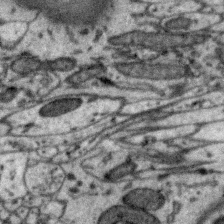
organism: Zebra finch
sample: Brain